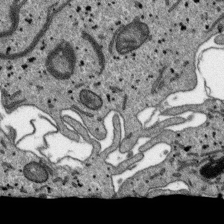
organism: Human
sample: Lung epithelial cells, uninfected (mock) control